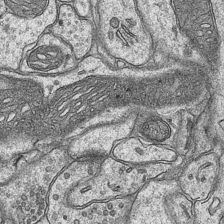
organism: Mouse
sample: CA1 Hippocampus